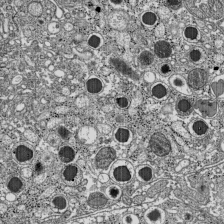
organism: C57BL Mouse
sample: Pancreatic islet